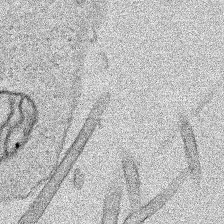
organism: Human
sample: Mitochondria in HCT116 cells